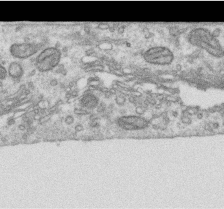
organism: Human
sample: Centriole in RPE cells